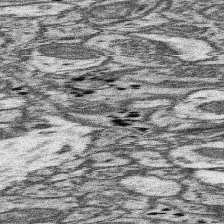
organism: Mouse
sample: Somatosensory cortex neuropil